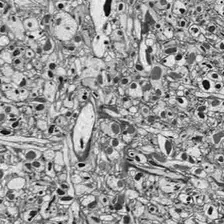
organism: Drosophila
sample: Optic lobe